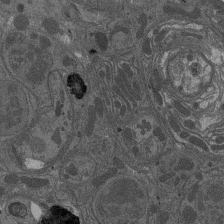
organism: Drosophila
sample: Antenna